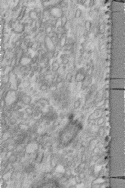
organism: Human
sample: Centriole in fibroblast cells